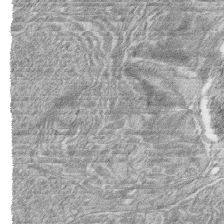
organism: Zebrafish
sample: synaptic ribbons in rod cells and cone cells